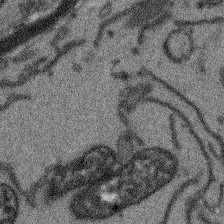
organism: Arabidopsis thaliana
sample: Root tip